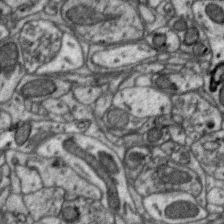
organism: Zebra finch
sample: Brain